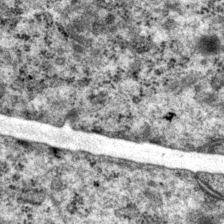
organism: P. pacificus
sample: Pharynx